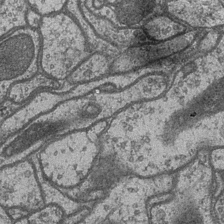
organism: Drosophila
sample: Optic medulla